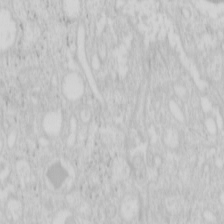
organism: Mouse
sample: Pancreas